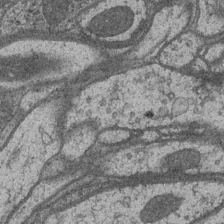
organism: Drosophila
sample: Optic medulla